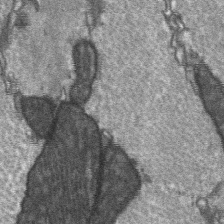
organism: C57BL Mouse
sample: Soleus